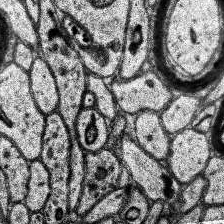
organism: Human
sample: Temporal Lobe